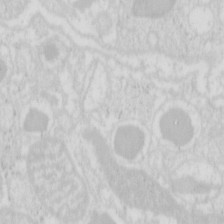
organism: Mouse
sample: Pancreas